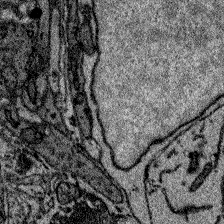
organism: Zebrafish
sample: Larval olfactory bulb